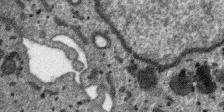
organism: Human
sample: Lung epithelial cells infected with SARS-CoV-2